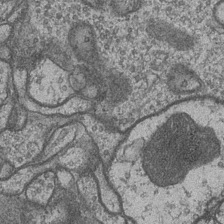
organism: Drosophila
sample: Optic medulla